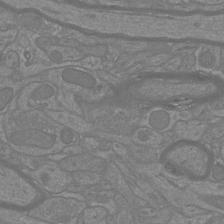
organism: Mouse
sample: Cortical neurons